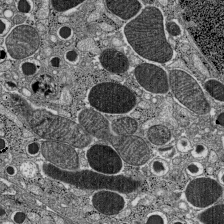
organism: C57BL Mouse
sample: Pancreatic islet